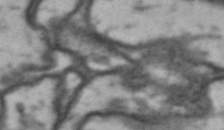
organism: Drosophila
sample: Brain